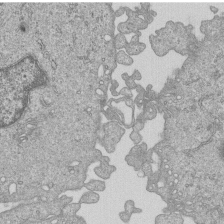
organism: Human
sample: MDA-MB-231 cells